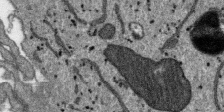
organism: Human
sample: Lung epithelial cells, uninfected (mock) control